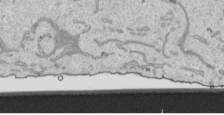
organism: Human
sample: Mitochondria in HCT116 cells